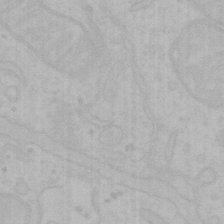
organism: Mouse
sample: Choroid plexus